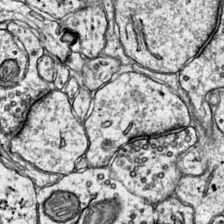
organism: Mouse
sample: Primary visual cortex